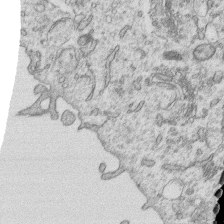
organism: Human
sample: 1205lu cells